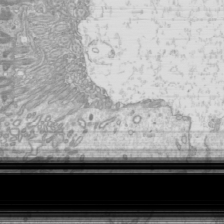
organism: Mouse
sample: Cilia; mouse epididymis